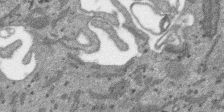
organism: Human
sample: Lung epithelial cells infected with SARS-CoV-2